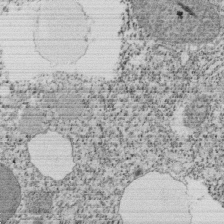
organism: Tetrahymena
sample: Cilia in tetrahymena